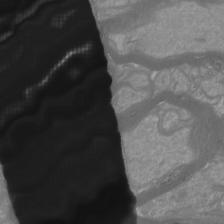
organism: Mouse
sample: Cortical neurons